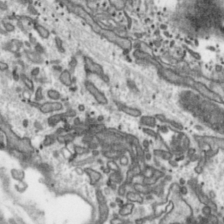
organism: Toxoplasma gondii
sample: Parasites in a vacuole inside a host cell